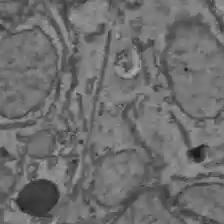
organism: C57BL Mouse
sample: Liver